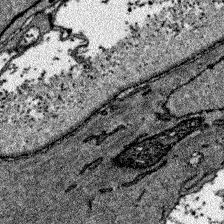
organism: Zebrafish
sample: Larval olfactory bulb